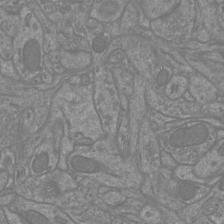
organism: Mouse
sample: Cortical neurons